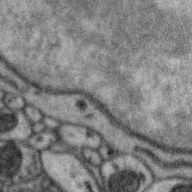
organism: Zebra finch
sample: Brain